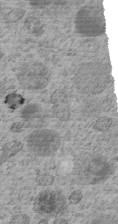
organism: C. elegans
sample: C. elegans embryo early stage